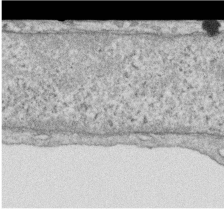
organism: Human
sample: Centriole in RPE cells